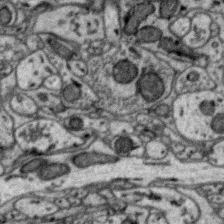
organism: Zebra finch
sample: Brain